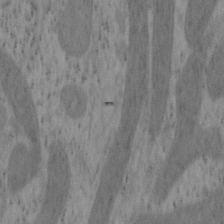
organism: Mouse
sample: OT-I killer T cells with ID8 ovarian cancer cells